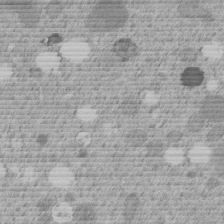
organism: C. elegans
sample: C. elegans embryo early stage